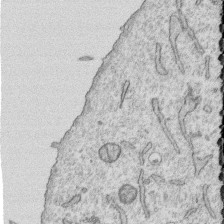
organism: Human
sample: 1205lu cells